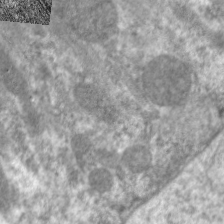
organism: C. elegans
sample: Pharynx